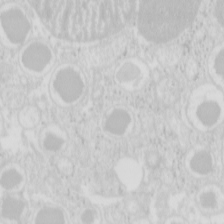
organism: Mouse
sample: Pancreas